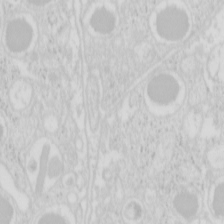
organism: Mouse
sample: Pancreas